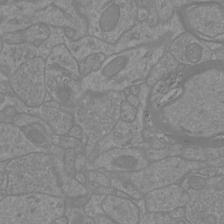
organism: Mouse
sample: Cortical neurons